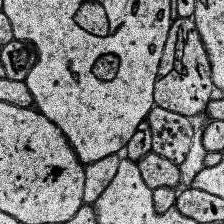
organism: Human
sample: Temporal Lobe